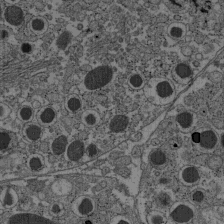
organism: C57BL Mouse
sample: Pancreatic islet